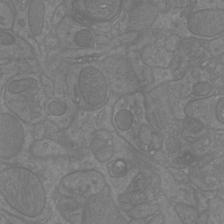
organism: Mouse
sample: Cortical neurons